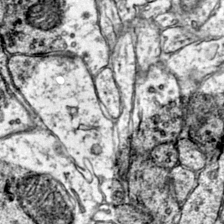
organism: Mouse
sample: Primary visual cortex